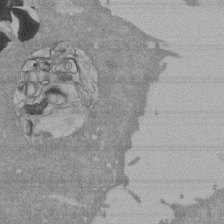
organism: Mouse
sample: ED-1 cell nuclei; centrioles